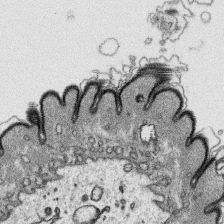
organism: Platynereis dumerilii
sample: Parapodia